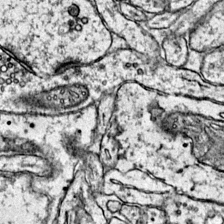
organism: Mouse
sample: Primary visual cortex